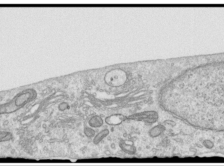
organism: Human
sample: Centriole in RPE cells